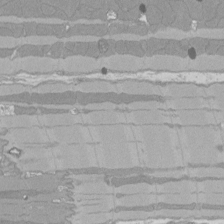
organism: Rat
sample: Left ventricle